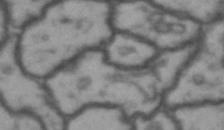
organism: Drosophila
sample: Brain